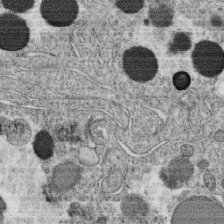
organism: C. elegans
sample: C. elegans oocyte; sperm cells